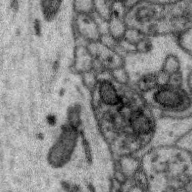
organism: Zebra finch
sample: Brain